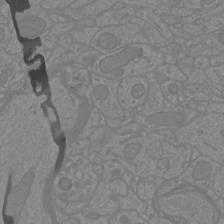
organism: Mouse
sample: Cortical neurons